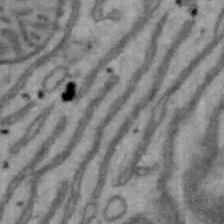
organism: Mouse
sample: Liver